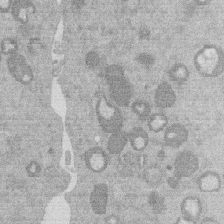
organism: Mouse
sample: Dividing mouse embryo 1 cell stage